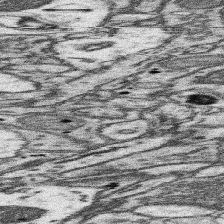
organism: Mouse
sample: Somatosensory cortex neuropil